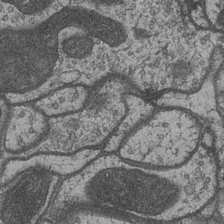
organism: Drosophila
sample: Optic medulla